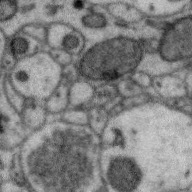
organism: Zebra finch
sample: Brain